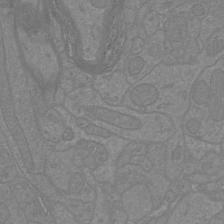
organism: Mouse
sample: Cortical neurons